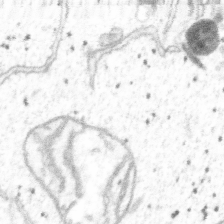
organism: Human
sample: HeLa cells